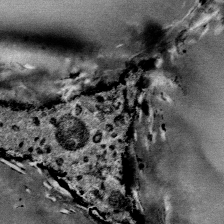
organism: Mouse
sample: Mouse Salivary gland